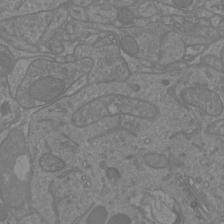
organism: Mouse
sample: Cortical neurons